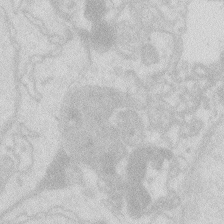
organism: Zebrafish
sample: Macrophage